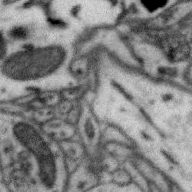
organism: Zebra finch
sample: Brain